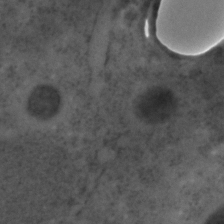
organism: C. elegans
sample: C. elegans embryo